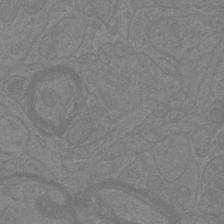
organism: Mouse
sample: Cortical neurons